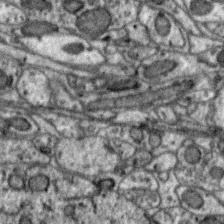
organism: Zebra finch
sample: Brain